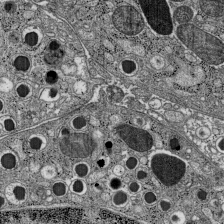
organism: C57BL Mouse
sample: Pancreatic islet